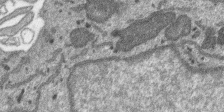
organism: Human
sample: Lung epithelial cells infected with SARS-CoV-2